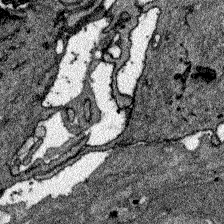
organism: Zebrafish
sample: Larval olfactory bulb